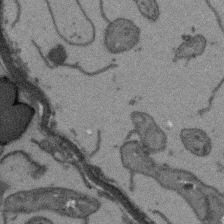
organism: Arabidopsis thaliana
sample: Root tip